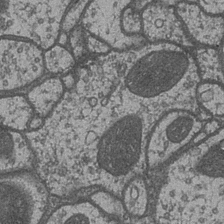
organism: Drosophila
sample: Optic medulla